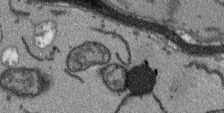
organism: Arabidopsis thaliana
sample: Root tip